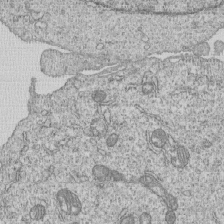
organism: Human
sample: MDA-MB-231 cells